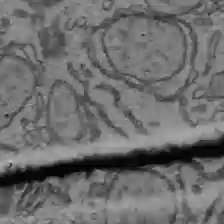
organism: C57BL Mouse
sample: Liver